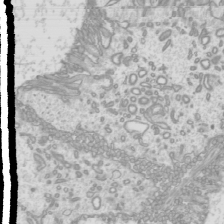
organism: Mouse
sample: Cilia; mouse epididymis